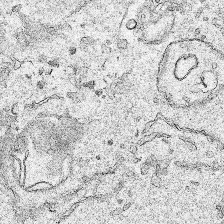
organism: Human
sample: Mitochondria in HCT116 cells